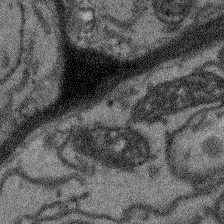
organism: Arabidopsis thaliana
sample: Root tip